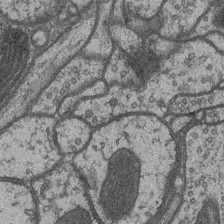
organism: Drosophila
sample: Optic medulla